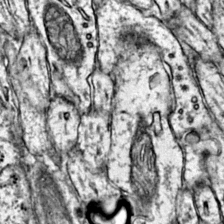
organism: Mouse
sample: Primary visual cortex